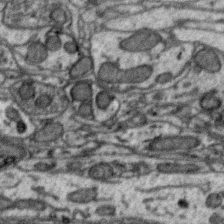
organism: Zebra finch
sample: Brain